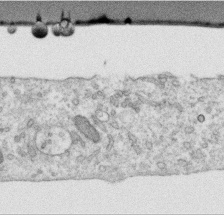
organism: Human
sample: Centriole in RPE cells